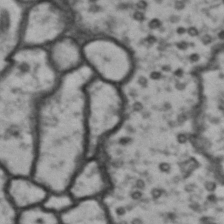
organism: Drosophila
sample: Brain